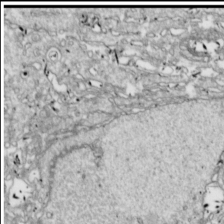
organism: Drosophila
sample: Cell division; meiosis; drosophila spermatocytes